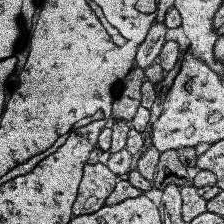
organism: Human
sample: Temporal Lobe